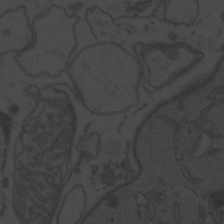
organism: Zebrafish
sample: Macrophage infected with Toxoplasma gondii